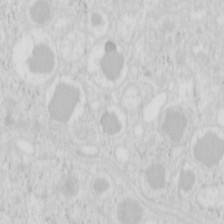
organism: Mouse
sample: Pancreas